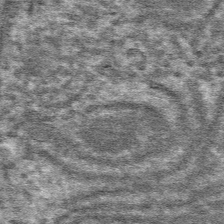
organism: Mouse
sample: Mouse hepatocytes